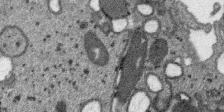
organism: Human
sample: Lung epithelial cells infected with SARS-CoV-2